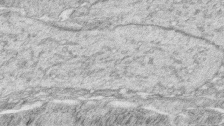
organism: Zebrafish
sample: synaptic ribbons in rod cells and cone cells